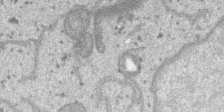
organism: Human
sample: Lung epithelial cells infected with SARS-CoV-2